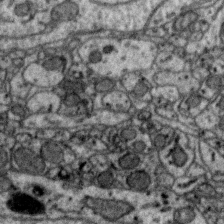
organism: Zebra finch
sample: Brain